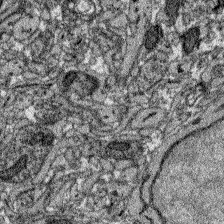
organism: Zebrafish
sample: Larval olfactory bulb